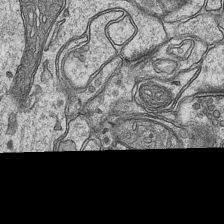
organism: Mouse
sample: CA1 Hippocampus